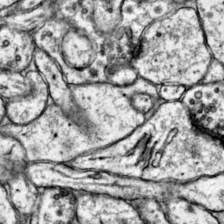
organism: Mouse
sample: Primary visual cortex